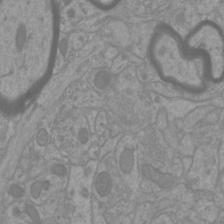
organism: Mouse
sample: Cortical neurons